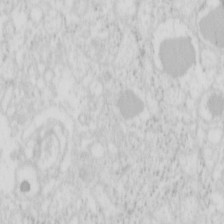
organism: Mouse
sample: Pancreas